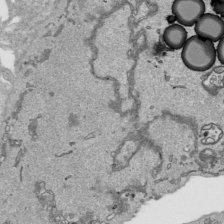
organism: Human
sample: Mitochondria in HCT116 cells